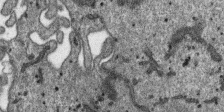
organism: Human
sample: Lung epithelial cells infected with SARS-CoV-2